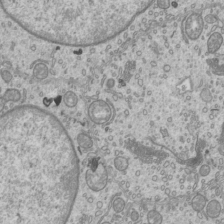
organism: Mouse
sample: Cilia; mouse epididymis